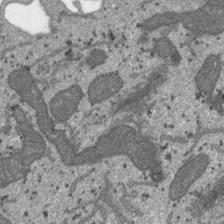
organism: Human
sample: Lung epithelial cells infected with SARS-CoV-2